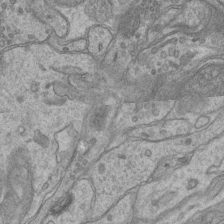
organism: Mouse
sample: CA1 Hippocampus